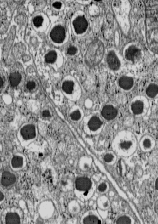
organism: C57BL Mouse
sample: Pancreatic islet